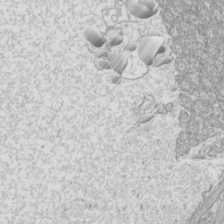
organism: Mouse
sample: Cilia; mouse epididymis